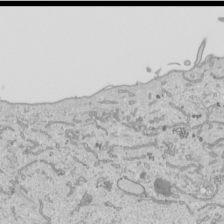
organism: Human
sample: Mitochondria in HCT116 cells